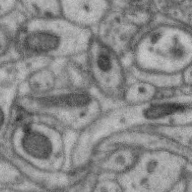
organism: Zebra finch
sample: Brain